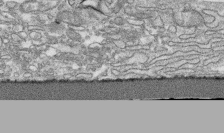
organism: Human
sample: CRL-1474